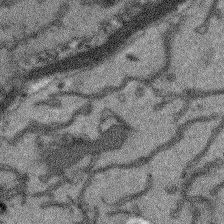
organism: Arabidopsis thaliana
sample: Root tip